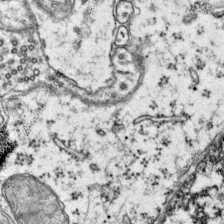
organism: Mouse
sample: Primary visual cortex